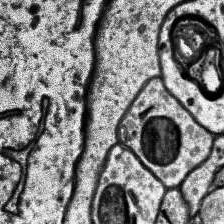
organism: Human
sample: Temporal Lobe